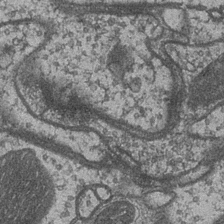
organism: Drosophila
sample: Optic medulla